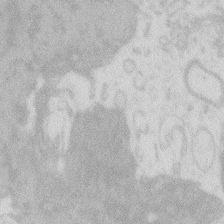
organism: Zebrafish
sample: Macrophage